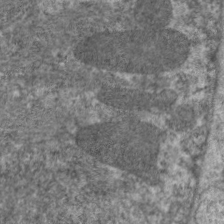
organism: C. elegans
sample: Pharynx